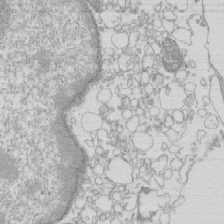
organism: Mouse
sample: Macrophages